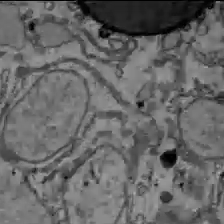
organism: C57BL Mouse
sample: Liver